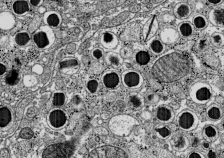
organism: C57BL Mouse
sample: Pancreatic islet